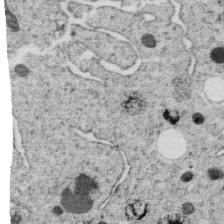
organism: C. elegans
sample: C. elegans oocyte; sperm cells